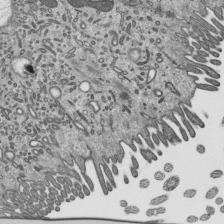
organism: Mouse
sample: Mouse epididymis efferent ductule cilia